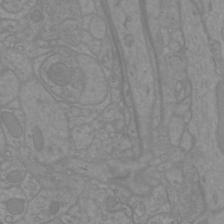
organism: Mouse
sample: Cortical neurons